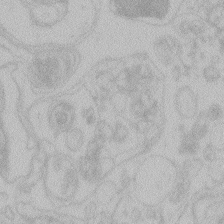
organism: Zebrafish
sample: Macrophage infected with Toxoplasma gondii